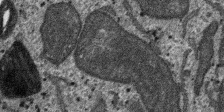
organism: Human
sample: Lung epithelial cells infected with SARS-CoV-2